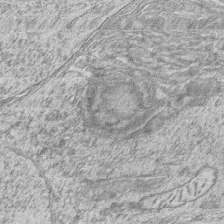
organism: Zebrafish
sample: synaptic ribbons in rod cells and cone cells